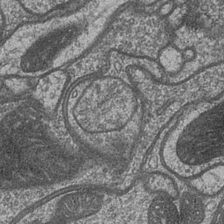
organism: Drosophila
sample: Optic medulla